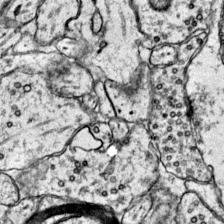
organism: Mouse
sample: Primary visual cortex